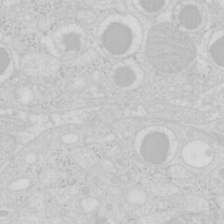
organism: Mouse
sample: Pancreas